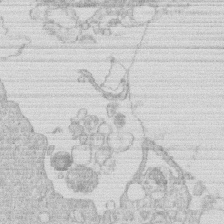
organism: Human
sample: Macrophage cells